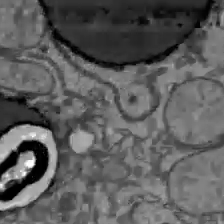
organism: C57BL Mouse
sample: Liver